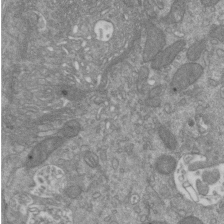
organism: Mouse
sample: ED-1 cell nuclei; centrioles